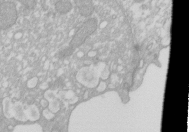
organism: Xenopus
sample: Cilia; centrioles in frog embryo cells